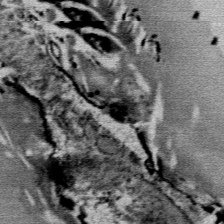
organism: Mouse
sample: Mouse Salivary gland